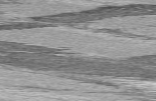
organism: C57BL Mouse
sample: Heart